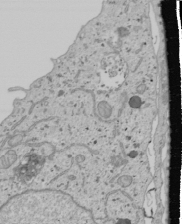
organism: Human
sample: Mitochondria in U2OS cells